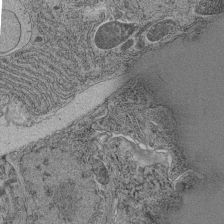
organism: C. elegans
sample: C. elegans pharynx